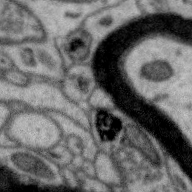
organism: Zebra finch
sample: Brain